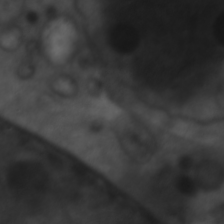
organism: C. elegans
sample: Pharynx